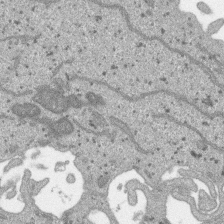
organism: Human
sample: Lung epithelial cells infected with SARS-CoV-2